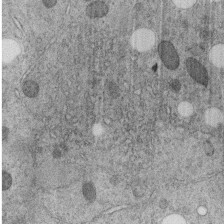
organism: C. elegans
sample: C. elegans embryo early stage